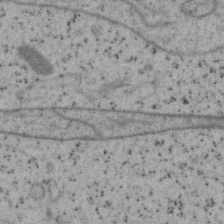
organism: Human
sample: HeLa cells